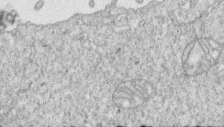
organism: Human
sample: HeLa cell HIV synapse